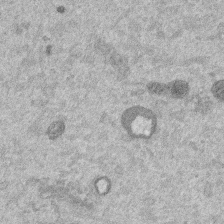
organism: Mouse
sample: Dividing mouse embryo 1 cell stage